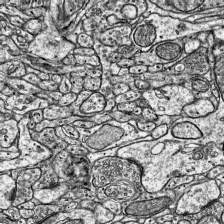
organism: Mouse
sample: Visual Cortex